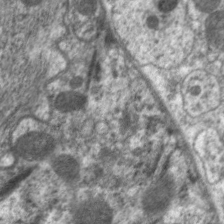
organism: C. elegans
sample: Pharynx